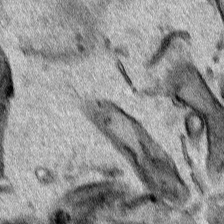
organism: Human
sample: Mitochondria in HCT116 cells